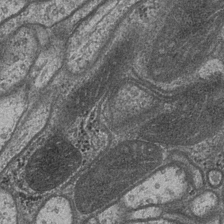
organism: Drosophila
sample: Optic medulla